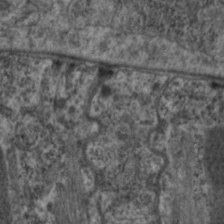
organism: C. elegans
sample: Pharynx